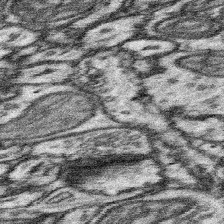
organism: Mouse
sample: Somatosensory cortex neuropil